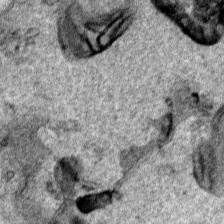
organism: Human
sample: Mitochondria in HCT116 cells